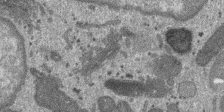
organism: Human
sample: Lung epithelial cells infected with SARS-CoV-2